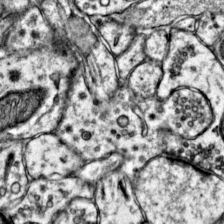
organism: Mouse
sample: Primary visual cortex